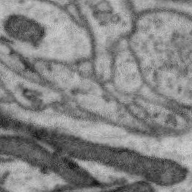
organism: Zebra finch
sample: Brain